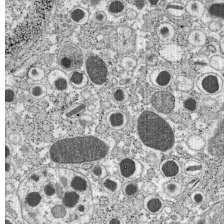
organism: C57BL Mouse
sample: Pancreatic islet